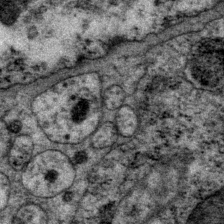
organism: P. pacificus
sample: Pharynx